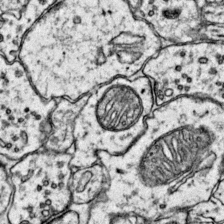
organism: Mouse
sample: Primary visual cortex